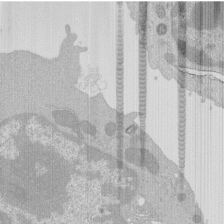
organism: Mouse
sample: Activated Pmel transgenic CD8+ T Cells